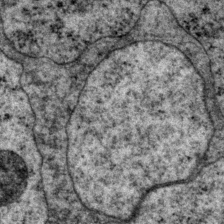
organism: P. pacificus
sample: Pharynx